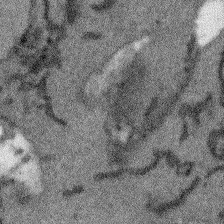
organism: Arabidopsis thaliana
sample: Root tip